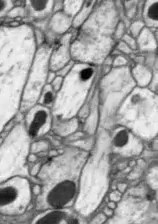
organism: Drosophila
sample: Optic lobe